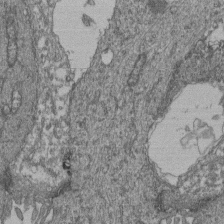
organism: Human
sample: Retinal organoid Rod and Cone cells